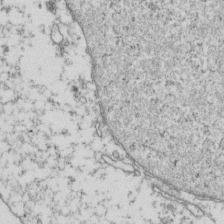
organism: Human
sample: Activated Jurkat CD4+ T cells